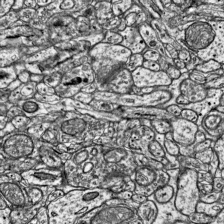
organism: Mouse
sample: Visual Cortex